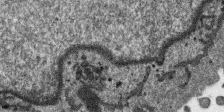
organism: Human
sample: Lung epithelial cells infected with SARS-CoV-2